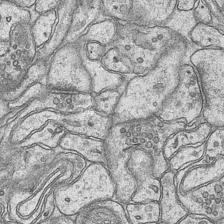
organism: Mouse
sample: CA1 Hippocampus